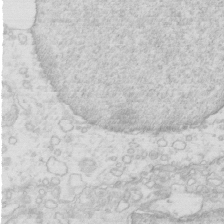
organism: Mouse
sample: Multiciliated cells